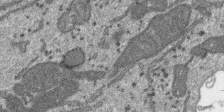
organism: Human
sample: Lung epithelial cells infected with SARS-CoV-2